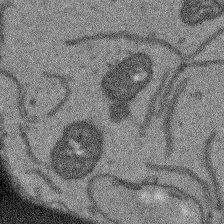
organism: Arabidopsis thaliana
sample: Root tip